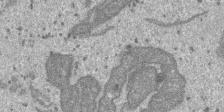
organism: Human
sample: Lung epithelial cells infected with SARS-CoV-2